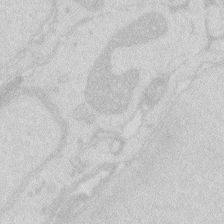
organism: Zebrafish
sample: Macrophage